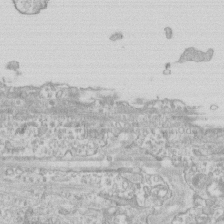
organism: Human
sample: CRL-1474